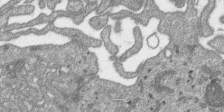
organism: Human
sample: Lung epithelial cells infected with SARS-CoV-2